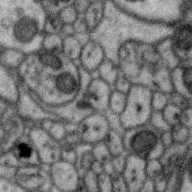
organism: Zebra finch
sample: Brain